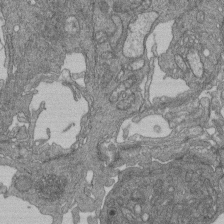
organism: Human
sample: Retinal organoid Rod and Cone cells